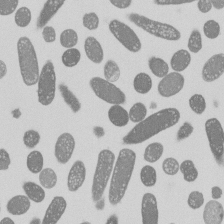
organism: E. coli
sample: Bacterial nucleoid